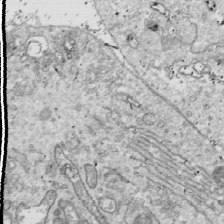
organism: Drosophila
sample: Cell division; meiosis; drosophila spermatocytes